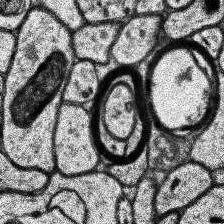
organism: Human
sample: Temporal Lobe